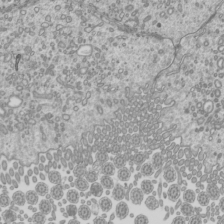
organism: Mouse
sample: Cilia; mouse epididymis